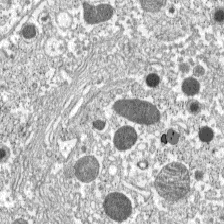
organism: C57BL Mouse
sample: Pancreatic islet